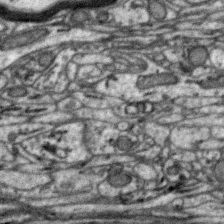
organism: Zebra finch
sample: Brain